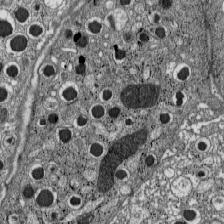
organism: C57BL Mouse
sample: Pancreatic islet